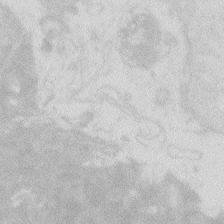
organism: Zebrafish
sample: Macrophage